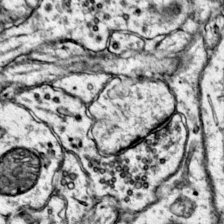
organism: Mouse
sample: Primary visual cortex